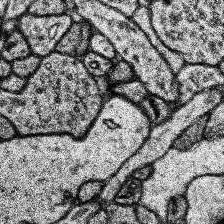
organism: Human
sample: Temporal Lobe